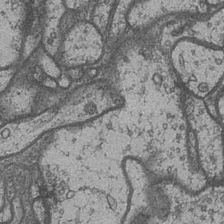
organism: Drosophila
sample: Optic medulla